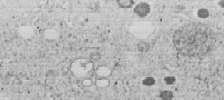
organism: C. elegans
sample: C. elegans embryo early stage